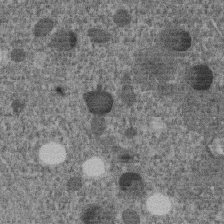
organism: C. elegans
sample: C. elegans embryo early stage